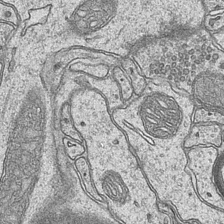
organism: Mouse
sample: CA1 Hippocampus